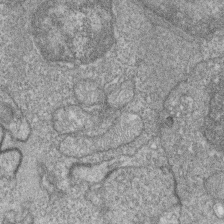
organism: Zebrafish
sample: Cilia; retinal pigment epithelium